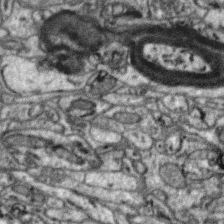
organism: Zebra finch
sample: Brain